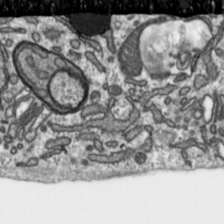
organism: Toxoplasma gondii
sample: Parasites in a vacuole inside a host cell